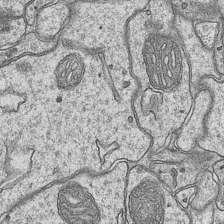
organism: Mouse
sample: CA1 Hippocampus